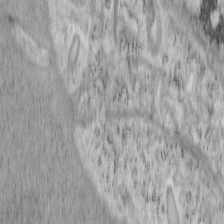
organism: Human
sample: HeLa cells